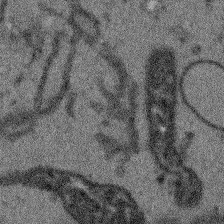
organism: Arabidopsis thaliana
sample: Root tip